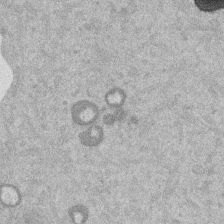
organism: Mouse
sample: Dividing mouse embryo 1 cell stage